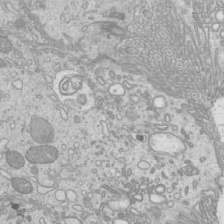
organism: Mouse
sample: Cilia; mouse epididymis